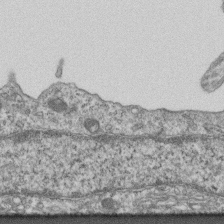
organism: Mouse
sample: Centriole in ependymal cells